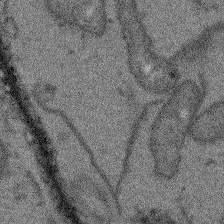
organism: Arabidopsis thaliana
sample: Root tip